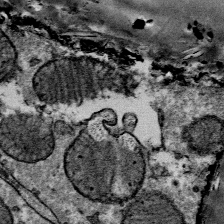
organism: Mouse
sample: Mouse Salivary gland